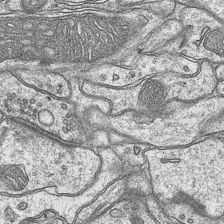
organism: Mouse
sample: CA1 Hippocampus